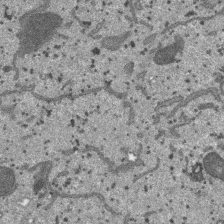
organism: Human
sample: Lung epithelial cells infected with SARS-CoV-2